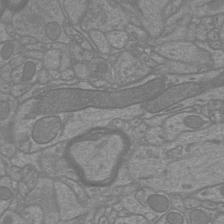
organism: Mouse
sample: Cortical neurons